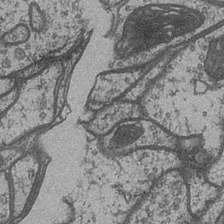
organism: Drosophila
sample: Optic medulla